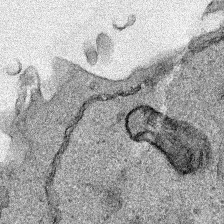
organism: Human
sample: Mitochondria in HCT116 cells